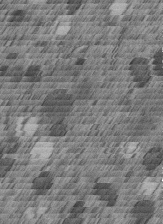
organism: C. elegans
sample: C. elegans embryo early stage